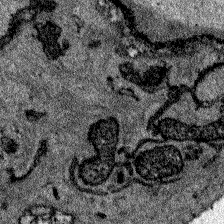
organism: Zebrafish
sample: Larval olfactory bulb